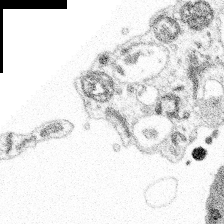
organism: Spongilla lacustris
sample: Multiple